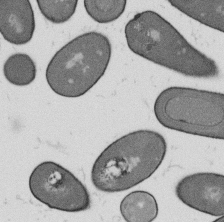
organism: B. subtilis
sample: Bacterial spore